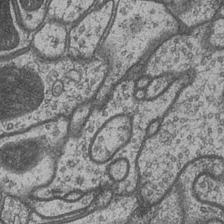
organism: Drosophila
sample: Optic medulla